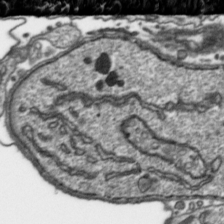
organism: Toxoplasma gondii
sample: Parasites in a vacuole inside a host cell